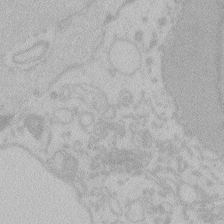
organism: Zebrafish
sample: Macrophage infected with Toxoplasma gondii